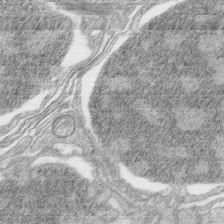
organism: Zebrafish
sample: synaptic ribbons in rod cells and cone cells